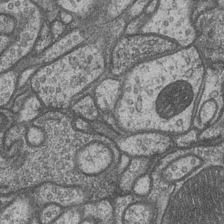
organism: Drosophila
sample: Optic medulla